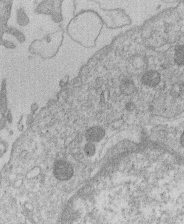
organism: Human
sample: Macrophage cells